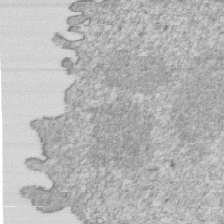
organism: Mouse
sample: Activated OT-1 CD8+ T cells